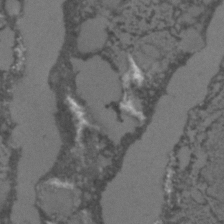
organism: C. elegans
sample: C. elegans embryo